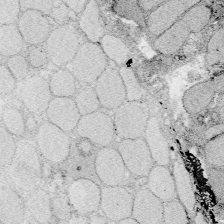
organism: Zebrafish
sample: Whole-Brain